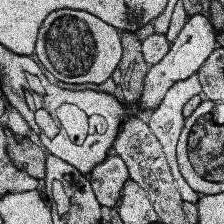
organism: Human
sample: Temporal Lobe